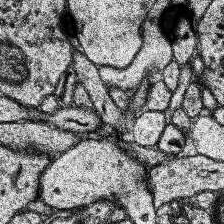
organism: Human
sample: Temporal Lobe